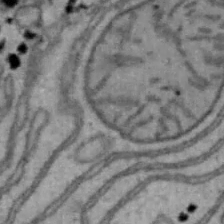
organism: Mouse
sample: Liver